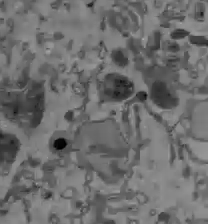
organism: C57BL Mouse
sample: Liver